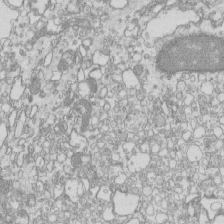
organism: Mouse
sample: Macrophages